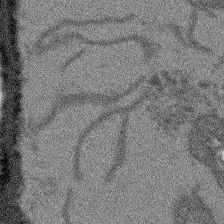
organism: Arabidopsis thaliana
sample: Root tip